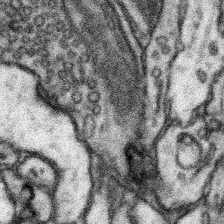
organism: Mouse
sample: Somatosensory cortex neuropil